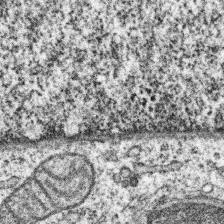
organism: Human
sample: HeLa cells